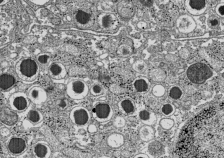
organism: C57BL Mouse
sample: Pancreatic islet